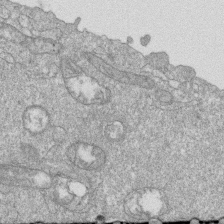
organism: Human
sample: HeLa cell HIV synapse